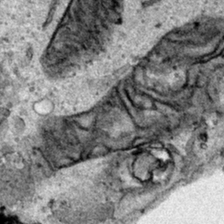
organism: Human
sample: Mitochondria in HCT116 cells